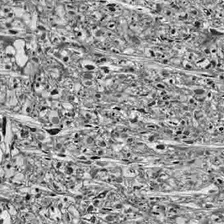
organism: Drosophila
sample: Optic lobe